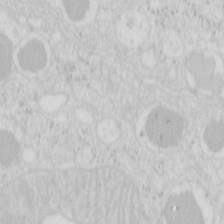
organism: Mouse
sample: Pancreas